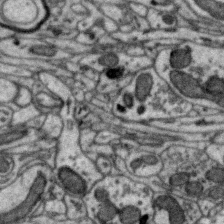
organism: Zebra finch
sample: Brain